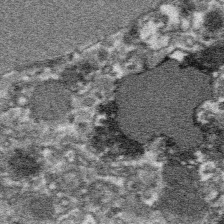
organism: Platynereis dumerilii